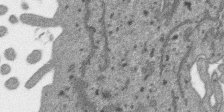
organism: Human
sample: Lung epithelial cells infected with SARS-CoV-2